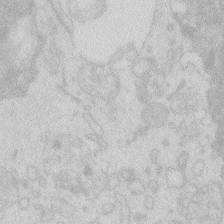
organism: Zebrafish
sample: Macrophage